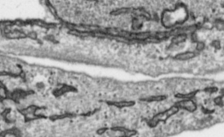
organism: Toxoplasma gondii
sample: Parasites in a vacuole inside a host cell